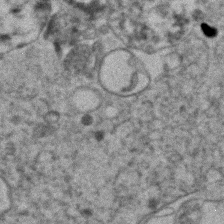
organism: Human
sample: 1205lu cells